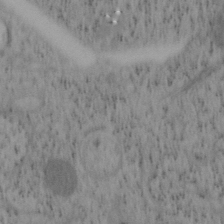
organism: Mouse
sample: OT-I killer T cells with ID8 ovarian cancer cells